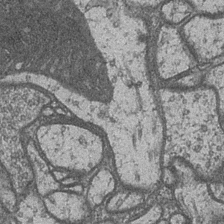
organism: Drosophila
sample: Optic medulla